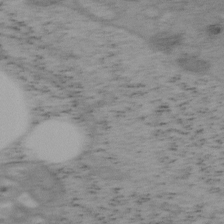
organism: Mouse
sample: OT-I killer T cells with ID8 ovarian cancer cells